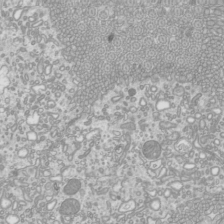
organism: Mouse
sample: Cilia; mouse epididymis